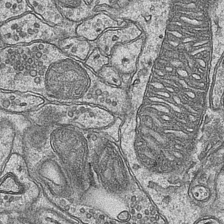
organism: Mouse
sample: CA1 Hippocampus